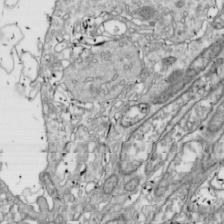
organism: Drosophila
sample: Cell division; meiosis; drosophila spermatocytes